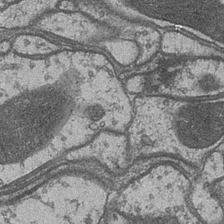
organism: Drosophila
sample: Optic medulla